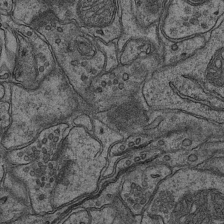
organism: Mouse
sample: CA1 Hippocampus